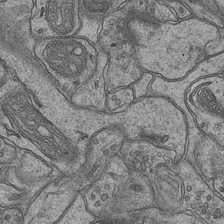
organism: Mouse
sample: CA1 Hippocampus